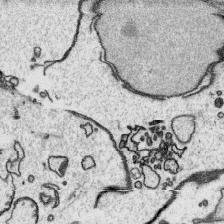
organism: Platynereis dumerilii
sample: Parapodia